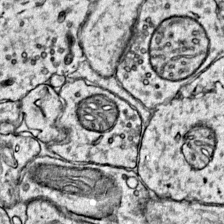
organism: Mouse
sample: Primary visual cortex